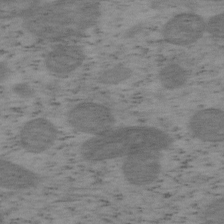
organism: Mouse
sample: OT-I killer T cells with ID8 ovarian cancer cells